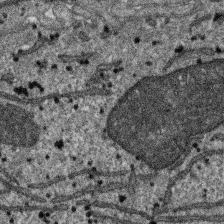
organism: Human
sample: Lung epithelial cells infected with SARS-CoV-2